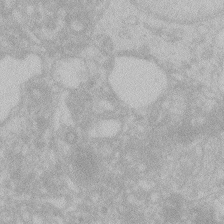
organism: Zebrafish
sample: Macrophage infected with Toxoplasma gondii